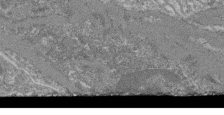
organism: Mouse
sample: Glomerulus